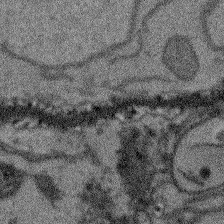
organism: Arabidopsis thaliana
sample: Root tip